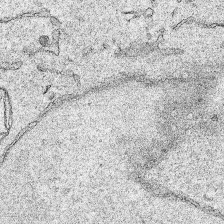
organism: Human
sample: Mitochondria in HCT116 cells